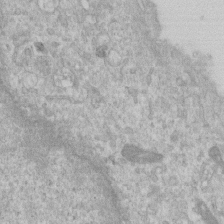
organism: Human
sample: Centriole in RPE cells